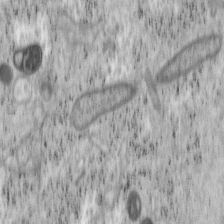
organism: Human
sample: HeLa cells